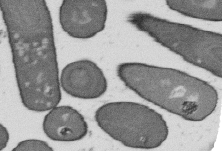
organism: B. subtilis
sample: Bacterial spore